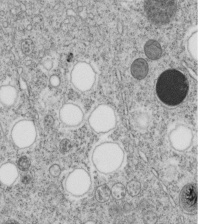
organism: C. elegans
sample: C. elegans embryo early stage